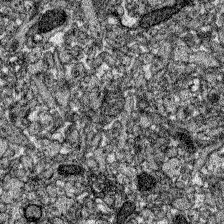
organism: Zebrafish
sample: Larval olfactory bulb